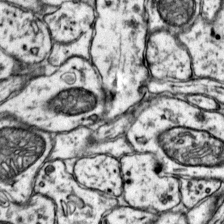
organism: Mouse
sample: Primary visual cortex